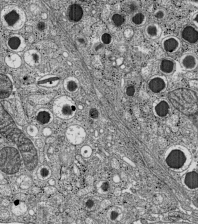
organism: C57BL Mouse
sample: Pancreatic islet